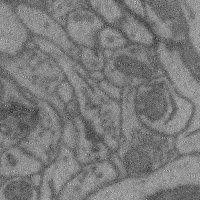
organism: Mouse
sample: Cerebral cortex